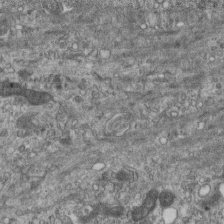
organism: Mouse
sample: Centriole in ependymal cells